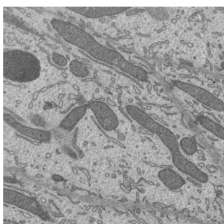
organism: Mouse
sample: Mouse epididymis efferent ductule cilia